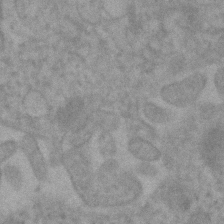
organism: Human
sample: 1205lu cells